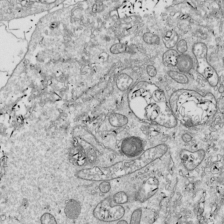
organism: Drosophila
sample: Cell division; meiosis; drosophila spermatocytes